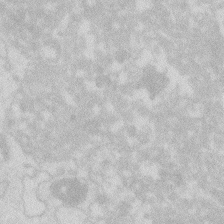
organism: Zebrafish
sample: Macrophage